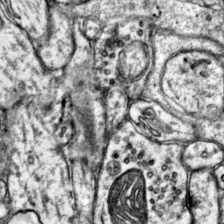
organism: Mouse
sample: Primary visual cortex